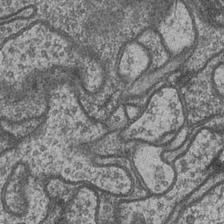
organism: Drosophila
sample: Optic medulla